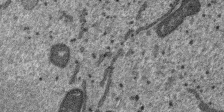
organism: Human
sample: Lung epithelial cells infected with SARS-CoV-2